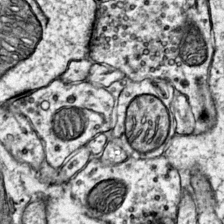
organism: Mouse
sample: Primary visual cortex